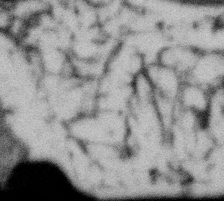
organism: Gemmata obscuriglobus